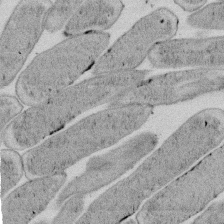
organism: E. coli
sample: Bacterial nucleoid